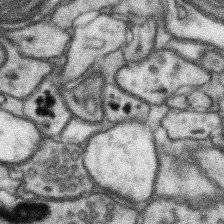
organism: Mouse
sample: Somatosensory cortex neuropil